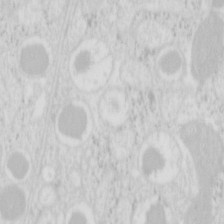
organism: Mouse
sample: Pancreas